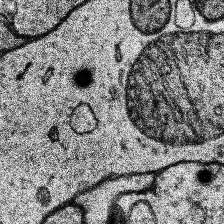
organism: Human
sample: Temporal Lobe